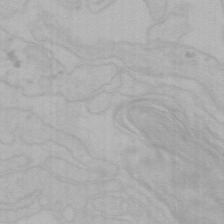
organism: Mouse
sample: Choroid plexus